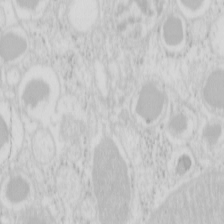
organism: Mouse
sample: Pancreas